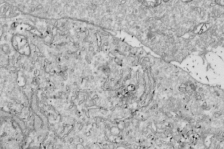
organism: Drosophila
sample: Cell division; meiosis; drosophila spermatocytes